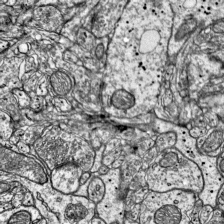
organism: Mouse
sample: Visual Cortex